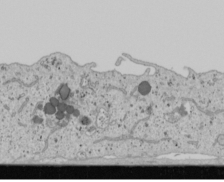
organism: Human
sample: Mitochondria in U2OS cells